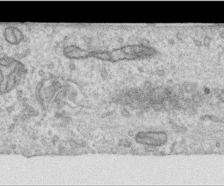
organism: Human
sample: Centriole in RPE cells